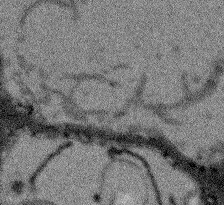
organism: Arabidopsis thaliana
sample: Root tip